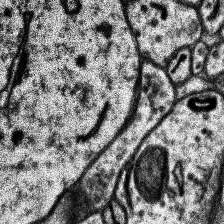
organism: Human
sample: Temporal Lobe